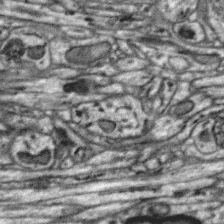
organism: Zebra finch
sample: Brain